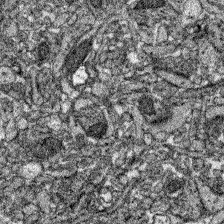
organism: Zebrafish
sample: Larval olfactory bulb